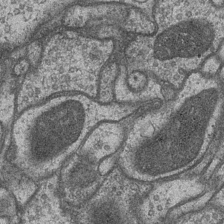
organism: Drosophila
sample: Optic medulla